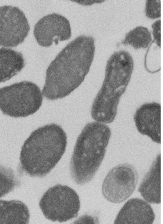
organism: E. coli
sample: Bacterial nucleoid